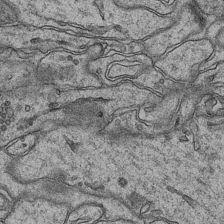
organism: Mouse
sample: CA1 Hippocampus